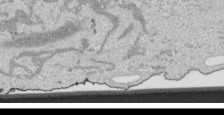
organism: Human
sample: Mitochondria in HCT116 cells